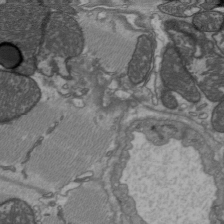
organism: C57BL Mouse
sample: Heart